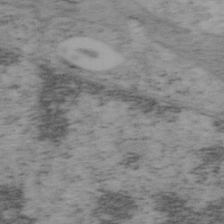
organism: Mouse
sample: OT-I killer T cells with ID8 ovarian cancer cells